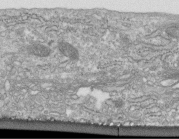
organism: Human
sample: Centriole in fibroblast cells